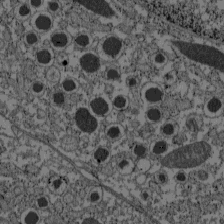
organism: C57BL Mouse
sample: Pancreatic islet